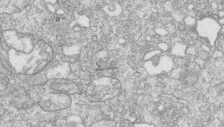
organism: Human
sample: HeLa cell HIV synapse